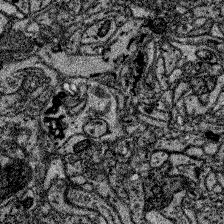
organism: Zebrafish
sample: Larval olfactory bulb